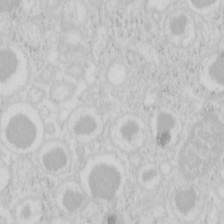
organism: Mouse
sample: Pancreas